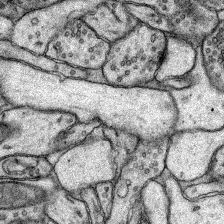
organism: Rat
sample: Hippocampus